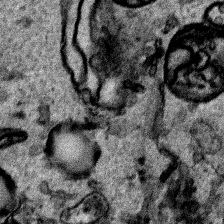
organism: Human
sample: Mitochondria in HCT116 cells